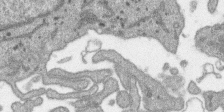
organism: Human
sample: Lung epithelial cells infected with SARS-CoV-2